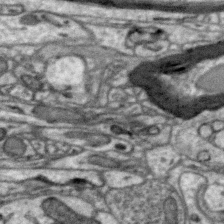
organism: Zebra finch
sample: Brain